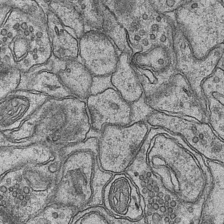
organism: Mouse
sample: CA1 Hippocampus